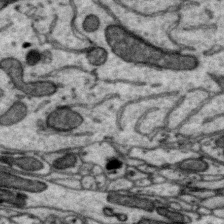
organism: Zebra finch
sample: Brain